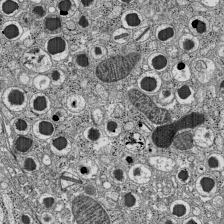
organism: C57BL Mouse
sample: Pancreatic islet